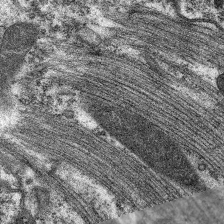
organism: C. elegans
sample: Pharynx